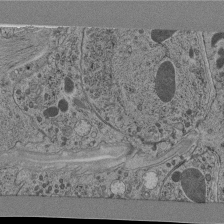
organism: C. elegans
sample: C. elegans pharynx